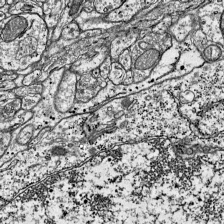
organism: Mouse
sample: Visual Cortex